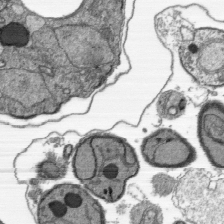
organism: Plasmodium falciparum